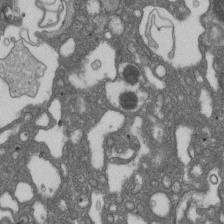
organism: Drosophila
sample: Nephrocyte